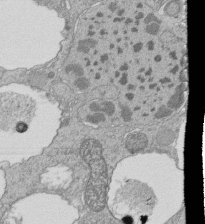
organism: Tetrahymena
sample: Cilia in tetrahymena